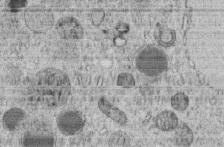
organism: C. elegans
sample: C. elegans embryo early stage